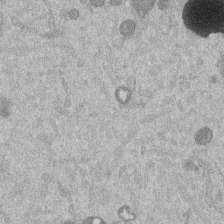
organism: Mouse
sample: Dividing mouse embryo 1 cell stage